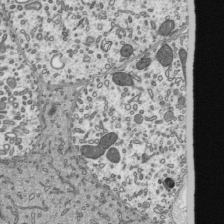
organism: Mouse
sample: Mouse epididymis efferent ductule cilia